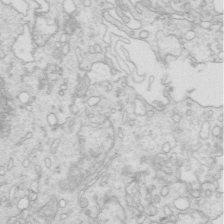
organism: Mouse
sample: Multiciliated cells